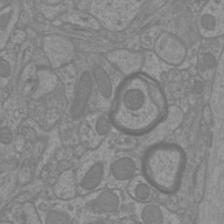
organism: Mouse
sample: Cortical neurons